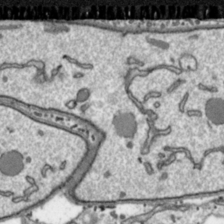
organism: Toxoplasma gondii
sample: Parasites in a vacuole inside a host cell